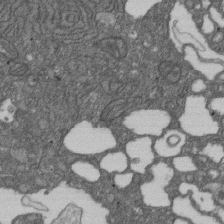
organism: Drosophila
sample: Nephrocyte